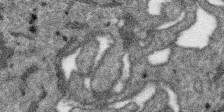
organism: Human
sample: Lung epithelial cells infected with SARS-CoV-2